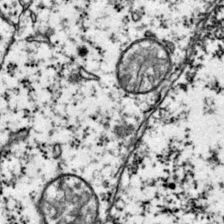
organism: Mouse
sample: Primary visual cortex